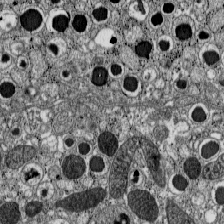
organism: C57BL Mouse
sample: Pancreatic islet